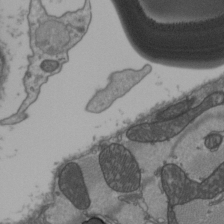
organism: C57BL Mouse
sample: Heart